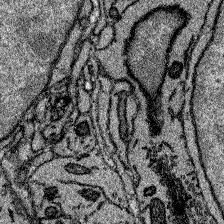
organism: Zebrafish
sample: Larval olfactory bulb